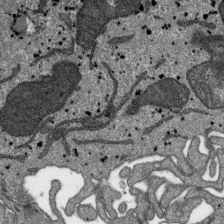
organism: Human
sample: Lung epithelial cells, uninfected (mock) control